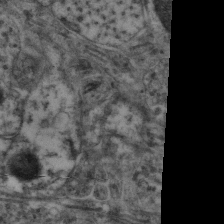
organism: Mouse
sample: Neocortex